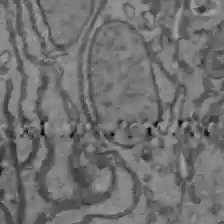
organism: C57BL Mouse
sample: Liver